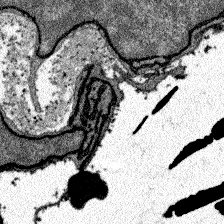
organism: Zebrafish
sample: Larval olfactory bulb